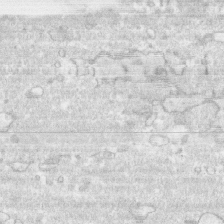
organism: Human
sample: CRL-1474